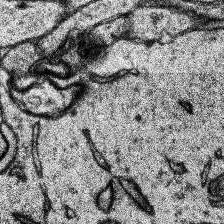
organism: Human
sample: Temporal Lobe